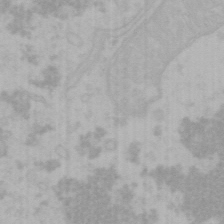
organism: Mouse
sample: Choroid plexus